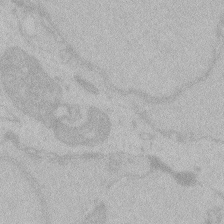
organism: Zebrafish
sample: Macrophage infected with Toxoplasma gondii